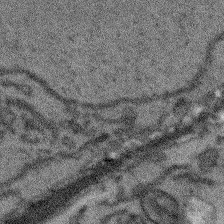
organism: Arabidopsis thaliana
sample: Root tip